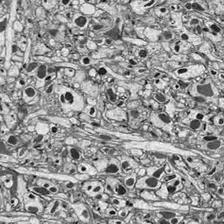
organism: Drosophila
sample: Optic lobe